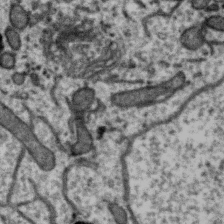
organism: Zebra finch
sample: Brain